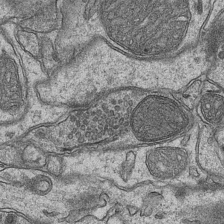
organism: Mouse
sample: CA1 Hippocampus